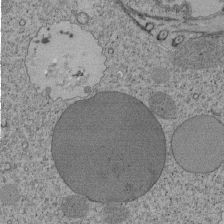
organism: Tetrahymena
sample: Cilia in tetrahymena